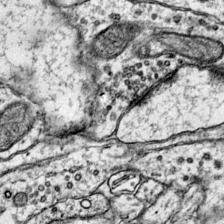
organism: Mouse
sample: Primary visual cortex